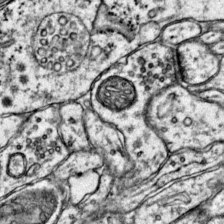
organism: Mouse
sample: Primary visual cortex